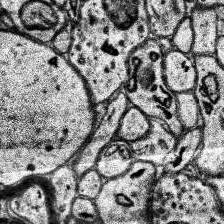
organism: Human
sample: Temporal Lobe